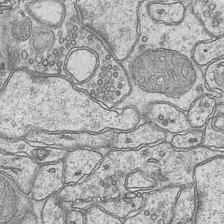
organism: Mouse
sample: CA1 Hippocampus